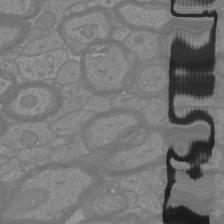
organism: Mouse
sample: Cortical neurons